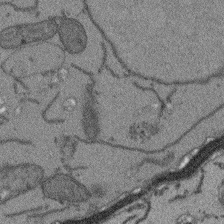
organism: Arabidopsis thaliana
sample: Root tip